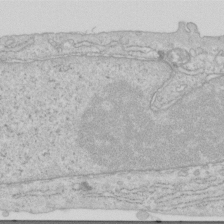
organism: Human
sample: Centriole in RPE cells